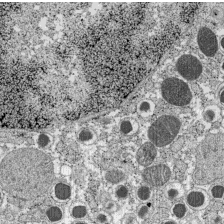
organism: C57BL Mouse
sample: Pancreatic islet